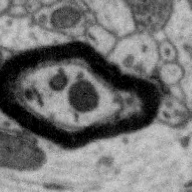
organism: Zebra finch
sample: Brain